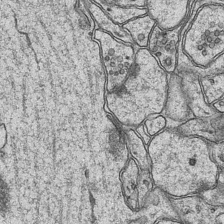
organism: Mouse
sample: CA1 Hippocampus